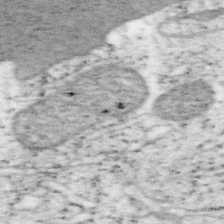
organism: Mouse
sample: OT-I killer T cells with ID8 ovarian cancer cells